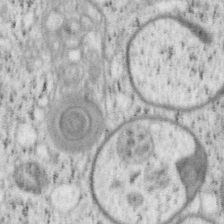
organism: Mouse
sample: OT-I killer T cells with ID8 ovarian cancer cells